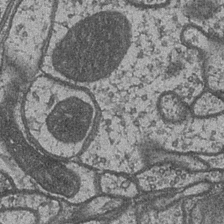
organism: Drosophila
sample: Optic medulla